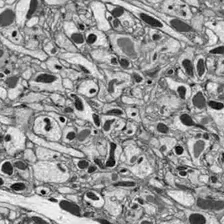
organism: Drosophila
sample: Optic lobe